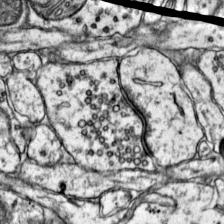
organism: Mouse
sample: Primary visual cortex